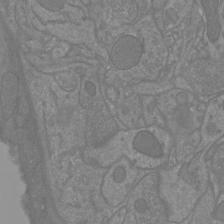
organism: Mouse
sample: Cortical neurons